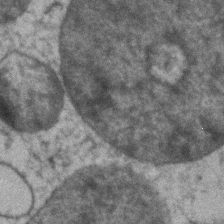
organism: Zebrafish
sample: Zebrafish embryo